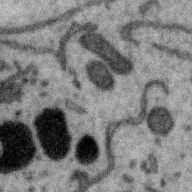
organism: Zebra finch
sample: Brain